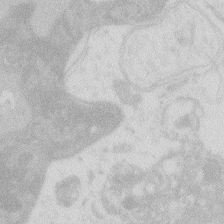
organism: Zebrafish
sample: Macrophage